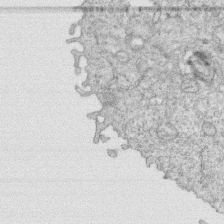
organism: Human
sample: HeLa cell HIV synapse